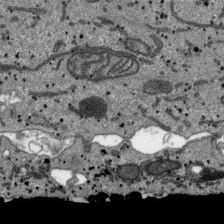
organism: Human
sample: Lung epithelial cells, uninfected (mock) control